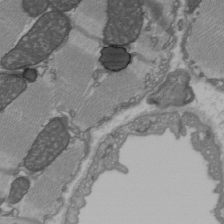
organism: C57BL Mouse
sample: Heart